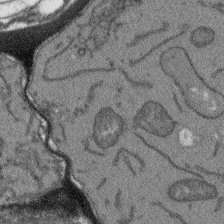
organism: Arabidopsis thaliana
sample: Root tip